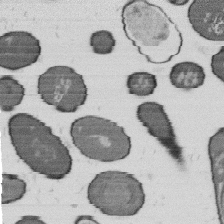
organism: B. subtilis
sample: Bacterial spore